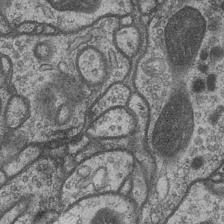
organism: Drosophila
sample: Optic medulla